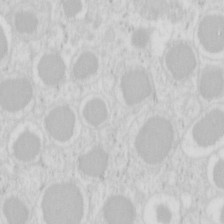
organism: Mouse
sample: Pancreas